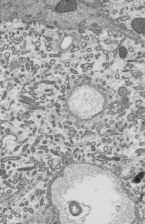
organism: Mouse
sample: Mouse epididymis efferent ductule cilia